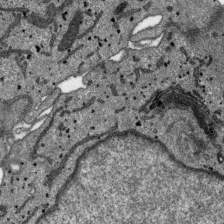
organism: Human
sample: Lung epithelial cells, uninfected (mock) control